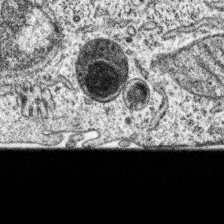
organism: Human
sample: HeLa cells